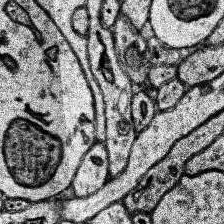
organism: Human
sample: Temporal Lobe